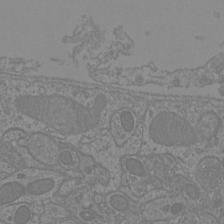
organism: Mouse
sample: Cortical neurons